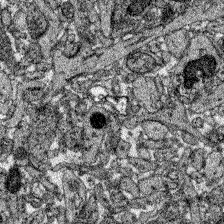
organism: Zebrafish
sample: Larval olfactory bulb